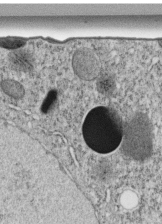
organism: C. elegans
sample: C. elegans embryo early stage